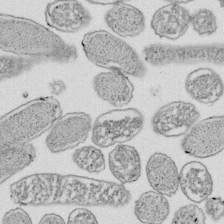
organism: E. coli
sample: Bacterial nucleoid